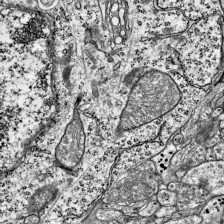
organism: Mouse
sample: Visual Cortex